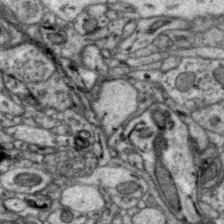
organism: Zebra finch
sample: Brain